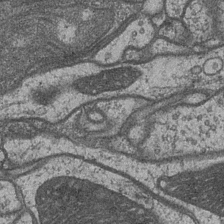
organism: Drosophila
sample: Optic medulla